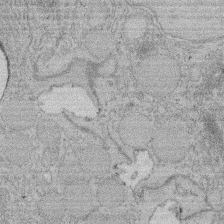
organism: Rat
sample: Salivary granule